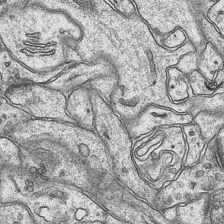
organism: Mouse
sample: CA1 Hippocampus